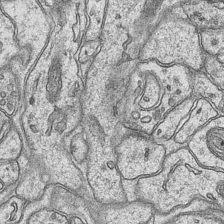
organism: Mouse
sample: CA1 Hippocampus